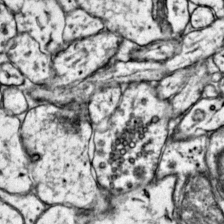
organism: Mouse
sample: Primary visual cortex